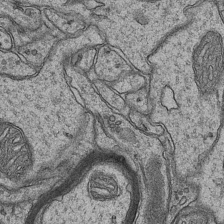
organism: Mouse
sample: CA1 Hippocampus